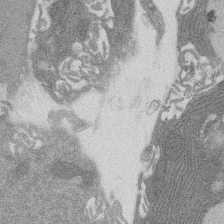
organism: Rat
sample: Salivary granule